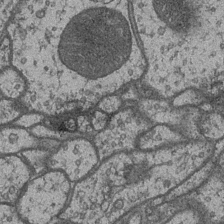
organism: Drosophila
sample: Optic medulla